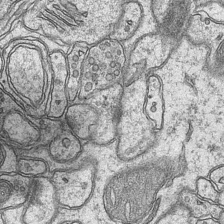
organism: Mouse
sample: CA1 Hippocampus